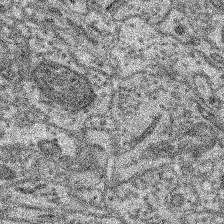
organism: Mouse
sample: Retina